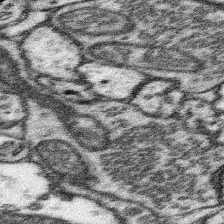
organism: Mouse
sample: Somatosensory cortex neuropil